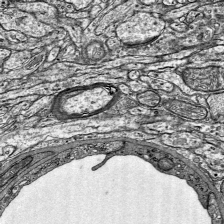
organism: Mouse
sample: Visual Cortex